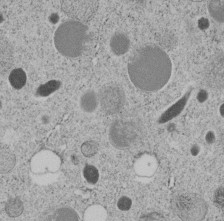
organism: C. elegans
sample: C. elegans embryo early stage